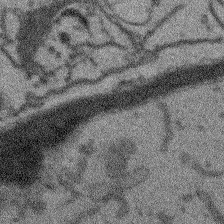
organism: Arabidopsis thaliana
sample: Root tip